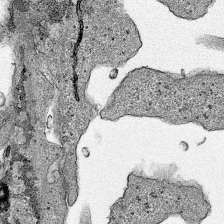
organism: Human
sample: Mitochondria in HCT116 cells